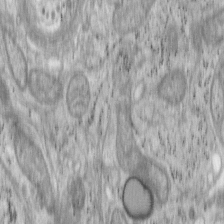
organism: Human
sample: HeLa cells